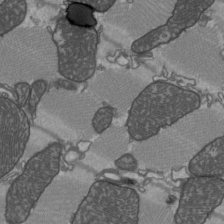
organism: C57BL Mouse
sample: Heart